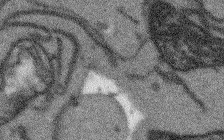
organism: Arabidopsis thaliana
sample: Root tip